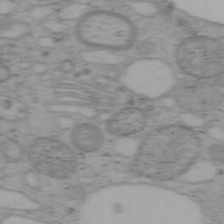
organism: Mouse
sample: OT-I killer T cells with ID8 ovarian cancer cells